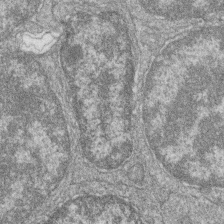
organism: Zebrafish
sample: Cilia; retinal pigment epithelium